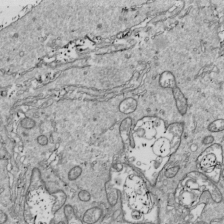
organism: Drosophila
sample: Cell division; meiosis; drosophila spermatocytes